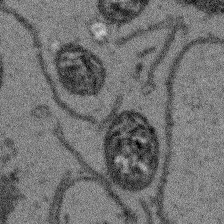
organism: Arabidopsis thaliana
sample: Root tip